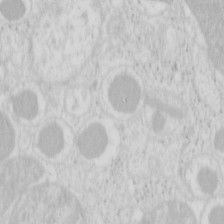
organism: Mouse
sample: Pancreas